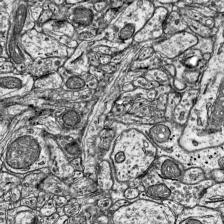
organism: Mouse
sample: Visual Cortex